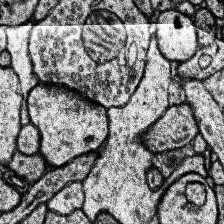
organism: Human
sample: Temporal Lobe